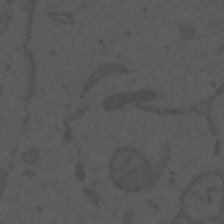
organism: Mouse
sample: Suprachiasmatic nucleus